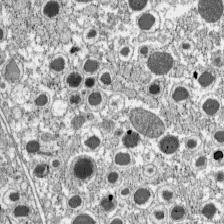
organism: C57BL Mouse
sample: Pancreatic islet